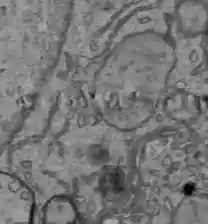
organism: C57BL Mouse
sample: Liver